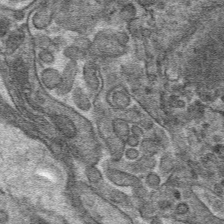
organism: Mouse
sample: Mouse hepatocytes